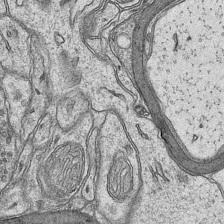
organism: Mouse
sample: CA1 Hippocampus